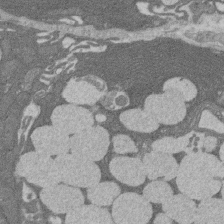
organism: Rat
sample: Salivary granule